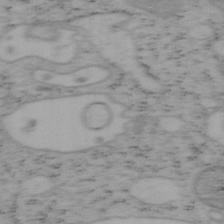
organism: Mouse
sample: OT-I killer T cells with ID8 ovarian cancer cells